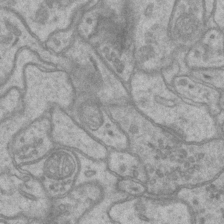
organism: Mouse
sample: CA1 Hippocampus